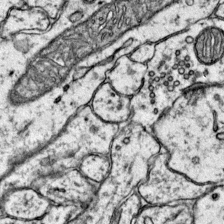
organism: Mouse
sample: Primary visual cortex